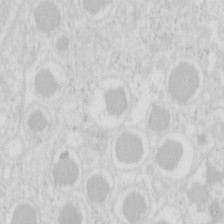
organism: Mouse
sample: Pancreas